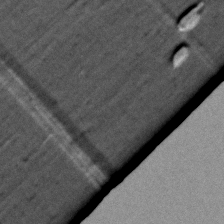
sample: Trachea